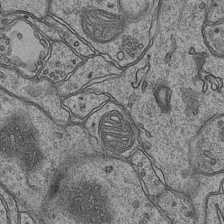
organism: Mouse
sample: CA1 Hippocampus